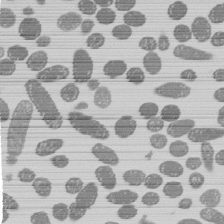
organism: E. coli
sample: Bacterial nucleoid